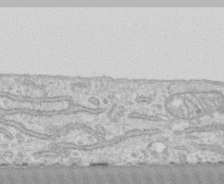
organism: Human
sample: CRL-1474